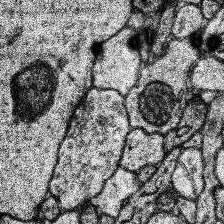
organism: Human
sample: Temporal Lobe